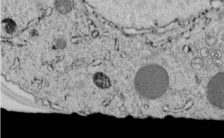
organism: C. elegans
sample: C. elegans embryo early stage